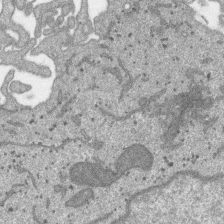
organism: Human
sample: Lung epithelial cells infected with SARS-CoV-2